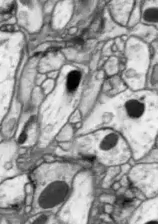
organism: Drosophila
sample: Optic lobe